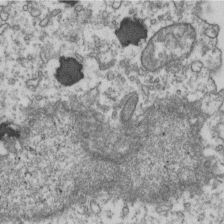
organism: Human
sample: Activated Jurkat CD4+ T cells